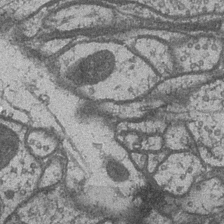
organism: Drosophila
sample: Optic medulla